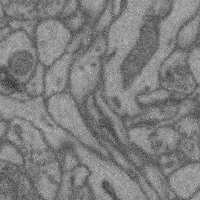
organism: Mouse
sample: Cerebral cortex